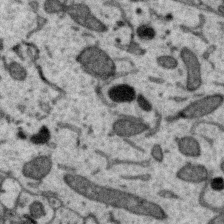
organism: Zebra finch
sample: Brain